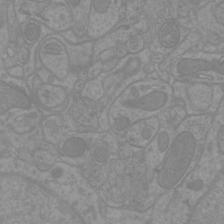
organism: Mouse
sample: Cortical neurons